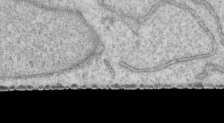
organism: Human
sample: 1205lu cells